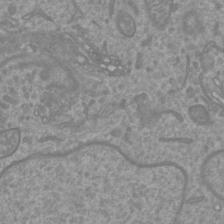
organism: Mouse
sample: Cortical neurons